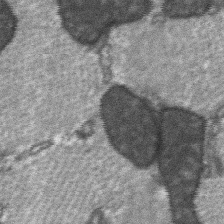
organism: C57BL Mouse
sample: Soleus